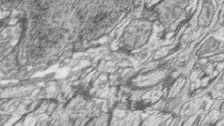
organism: Zebrafish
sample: synaptic ribbons in rod cells and cone cells